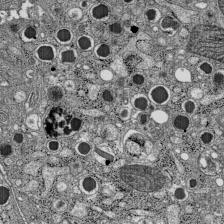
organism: C57BL Mouse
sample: Pancreatic islet